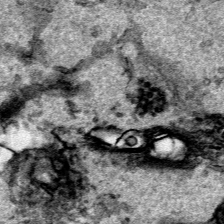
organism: Human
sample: Mitochondria in HCT116 cells